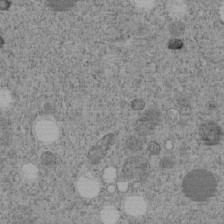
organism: C. elegans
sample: C. elegans embryo early stage